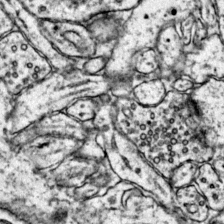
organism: Mouse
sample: Primary visual cortex